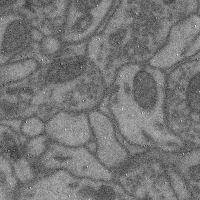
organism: Mouse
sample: Cerebral cortex